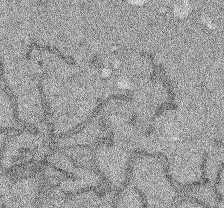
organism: Human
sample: HeLa cells